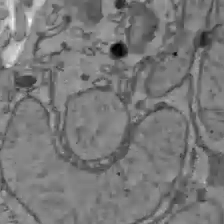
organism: C57BL Mouse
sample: Liver